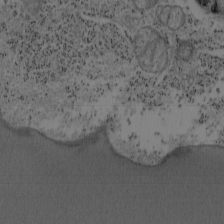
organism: Mouse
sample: OT-I killer T cells with ID8 ovarian cancer cells